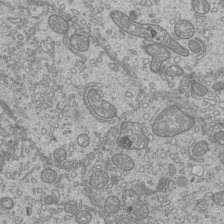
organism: Mouse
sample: Cilia; mouse epididymis